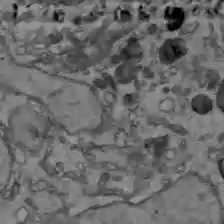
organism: C57BL Mouse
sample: Liver